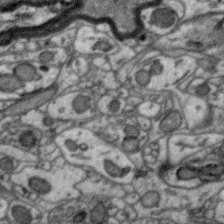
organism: Zebra finch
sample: Brain